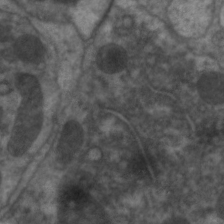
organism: C. elegans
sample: Pharynx